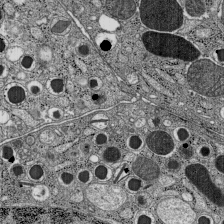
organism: C57BL Mouse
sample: Pancreatic islet